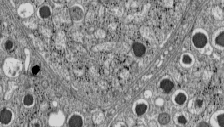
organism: C57BL Mouse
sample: Pancreatic islet